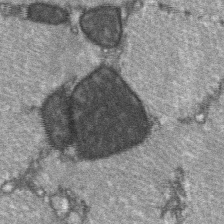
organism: C57BL Mouse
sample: Soleus